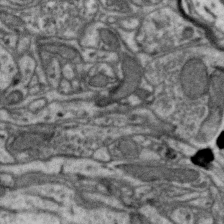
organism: Zebra finch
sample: Brain